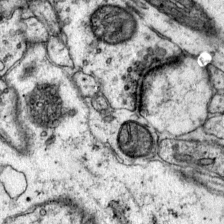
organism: Mouse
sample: Primary visual cortex